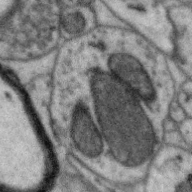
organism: Zebra finch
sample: Brain